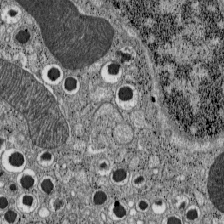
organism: C57BL Mouse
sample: Pancreatic islet